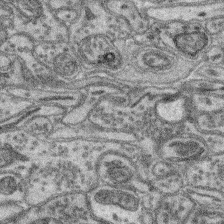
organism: Mouse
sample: Retina